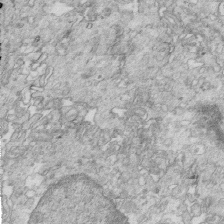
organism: Mouse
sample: Multiciliated cells